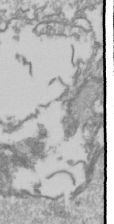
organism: Drosophila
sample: Cell division; meiosis; drosophila spermatocytes